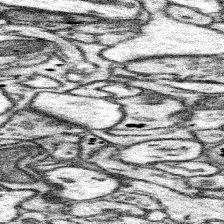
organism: Mouse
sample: Somatosensory cortex neuropil